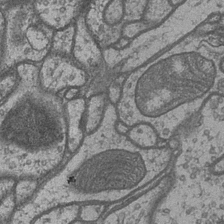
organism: Drosophila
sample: Optic medulla